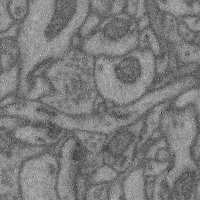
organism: Mouse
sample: Cerebral cortex